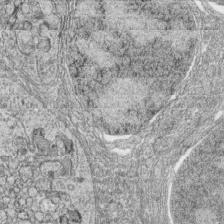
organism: Zebrafish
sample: synaptic ribbons in rod cells and cone cells